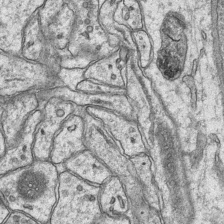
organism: Mouse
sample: CA1 Hippocampus